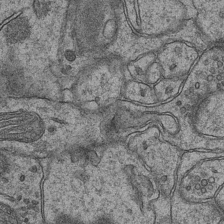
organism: Mouse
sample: CA1 Hippocampus